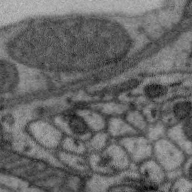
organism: Zebra finch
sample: Brain